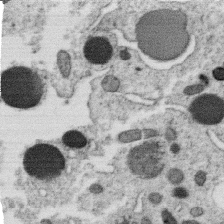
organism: C. elegans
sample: C. elegans oocyte; sperm cells